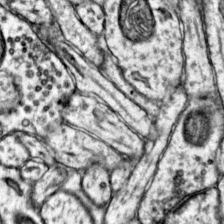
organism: Mouse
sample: Primary visual cortex